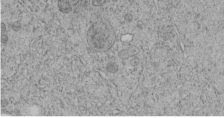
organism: C. elegans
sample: C. elegans embryo early stage